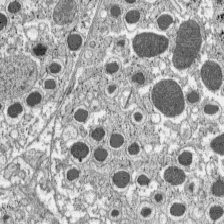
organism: C57BL Mouse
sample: Pancreatic islet